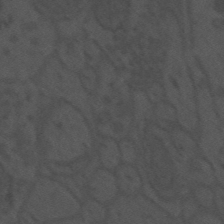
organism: Mouse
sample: Suprachiasmatic nucleus